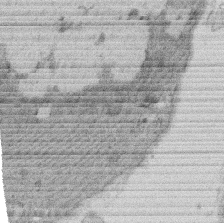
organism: Rat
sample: Salivary granule